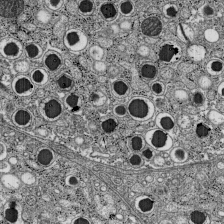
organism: C57BL Mouse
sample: Pancreatic islet